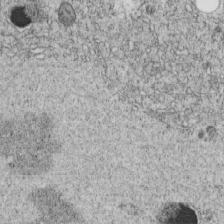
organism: C. elegans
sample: C. elegans embryo early stage